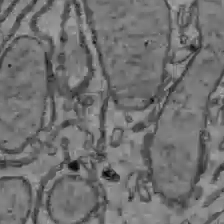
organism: C57BL Mouse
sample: Liver